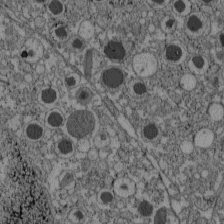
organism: C57BL Mouse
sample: Pancreatic islet